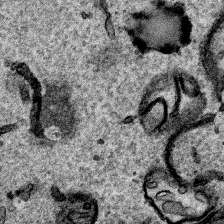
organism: Human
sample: Mitochondria in HCT116 cells